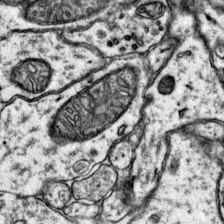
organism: Mouse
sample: Primary visual cortex